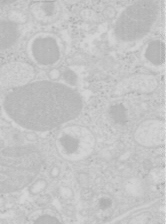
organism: Mouse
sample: Pancreas